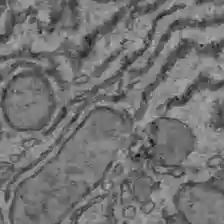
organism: C57BL Mouse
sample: Liver